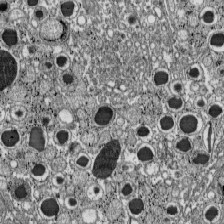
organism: C57BL Mouse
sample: Pancreatic islet